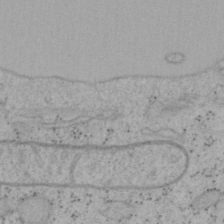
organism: Human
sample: HeLa cells